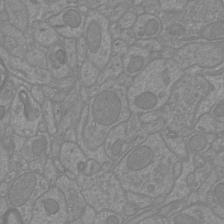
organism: Mouse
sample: Cortical neurons